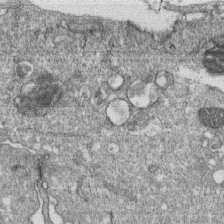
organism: African green monkey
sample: Vero E6 cells infected with SARS-CoV-2